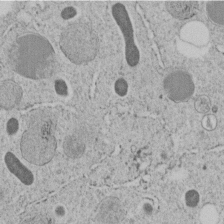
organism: C. elegans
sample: C. elegans embryo early stage